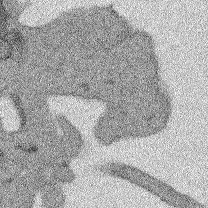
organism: Human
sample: HeLa cells